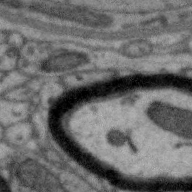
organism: Zebra finch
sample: Brain